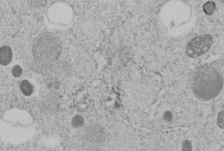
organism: C. elegans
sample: C. elegans embryo early stage